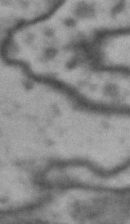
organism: Drosophila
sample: Brain